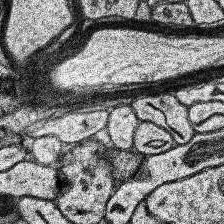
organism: Human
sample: Temporal Lobe